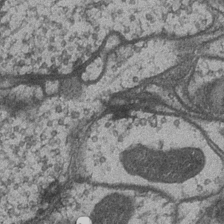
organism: Drosophila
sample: Optic medulla